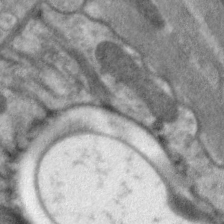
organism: C. elegans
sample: Pharynx